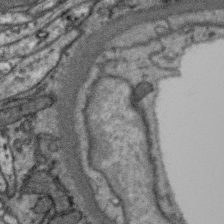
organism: Zebra finch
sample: Brain